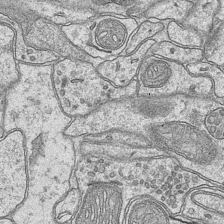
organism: Mouse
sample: CA1 Hippocampus